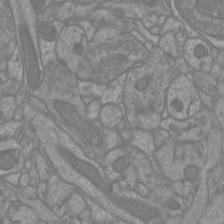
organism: Mouse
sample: Cortical neurons